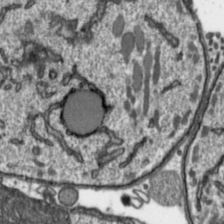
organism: Toxoplasma gondii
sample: Parasites in a vacuole inside a host cell